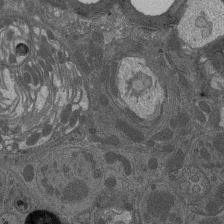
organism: Drosophila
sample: Antenna